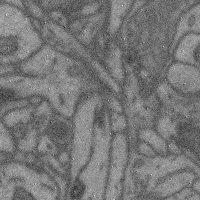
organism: Mouse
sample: Cerebral cortex